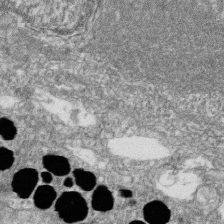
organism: Zebrafish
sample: Cilia; retinal pigment epithelium